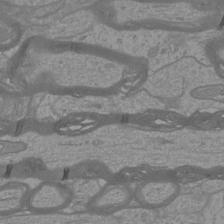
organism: Mouse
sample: Cortical neurons